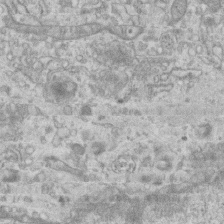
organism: Mouse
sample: Centriole in ependymal cells